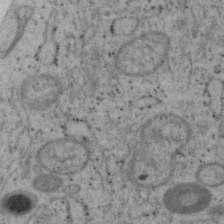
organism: Human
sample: HeLa cells